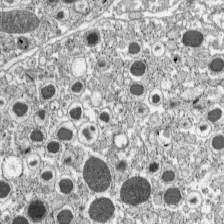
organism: C57BL Mouse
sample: Pancreatic islet